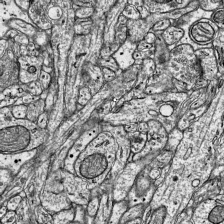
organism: Mouse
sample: Visual Cortex